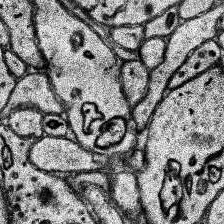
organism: Human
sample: Temporal Lobe